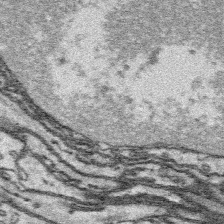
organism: Platynereis dumerilii